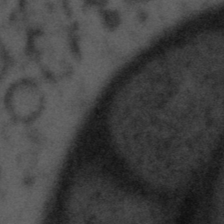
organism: Tuwongella immobilis